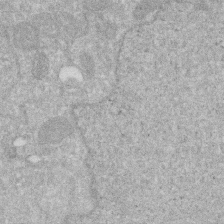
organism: Human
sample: HIV infected U937 cells